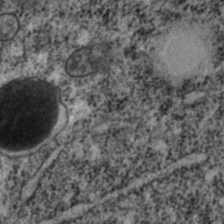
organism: C. elegans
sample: C. elegans embryo